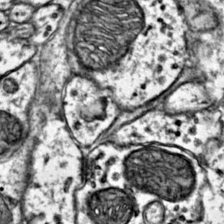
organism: Mouse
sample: Primary visual cortex